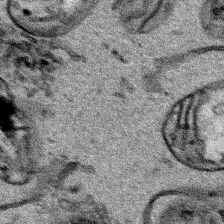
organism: Human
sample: Mitochondria in HCT116 cells